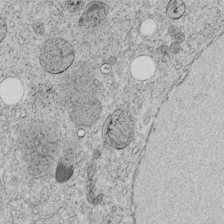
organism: C. elegans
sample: C. elegans embryo early stage